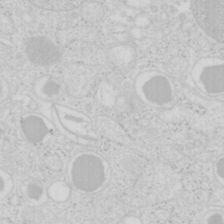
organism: Mouse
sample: Pancreas